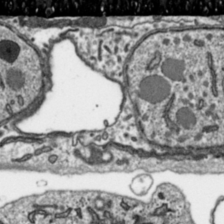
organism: Toxoplasma gondii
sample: Parasites in a vacuole inside a host cell